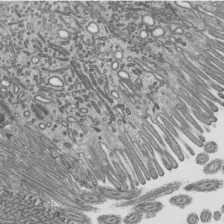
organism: Mouse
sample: Mouse epididymis efferent ductule cilia